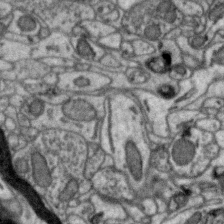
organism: Zebra finch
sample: Brain